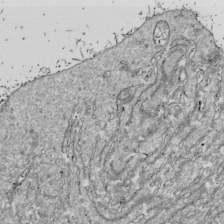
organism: Drosophila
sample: Cell division; meiosis; drosophila spermatocytes